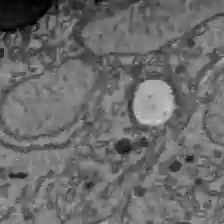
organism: C57BL Mouse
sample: Liver